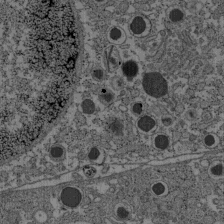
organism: C57BL Mouse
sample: Pancreatic islet